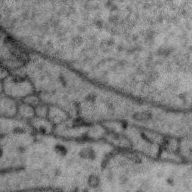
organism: Zebra finch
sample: Brain